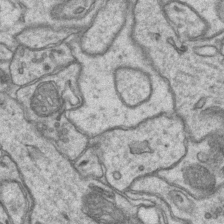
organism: Mouse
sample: CA1 Hippocampus